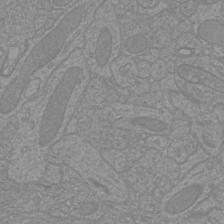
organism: Mouse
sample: Cortical neurons